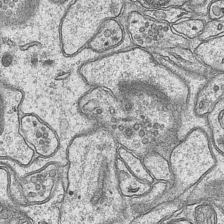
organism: Mouse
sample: CA1 Hippocampus